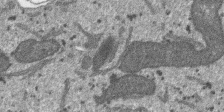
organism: Human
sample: Lung epithelial cells infected with SARS-CoV-2